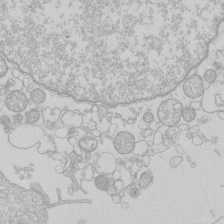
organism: Human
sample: Macrophage cells